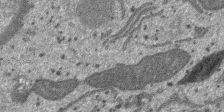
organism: Human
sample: Lung epithelial cells infected with SARS-CoV-2